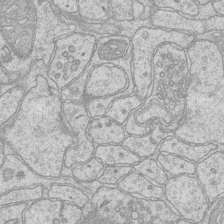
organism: Mouse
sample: CA1 Hippocampus